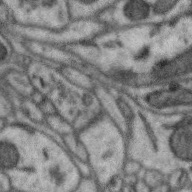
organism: Zebra finch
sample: Brain